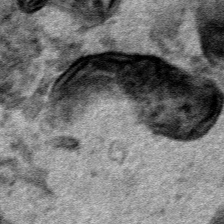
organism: Human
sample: Mitochondria in HCT116 cells